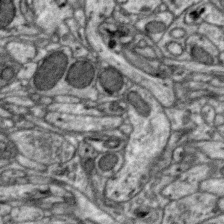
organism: Zebra finch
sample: Brain